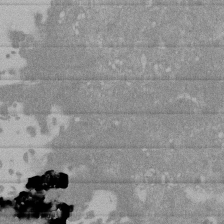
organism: Mouse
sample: ED-1 cell nuclei; centrioles